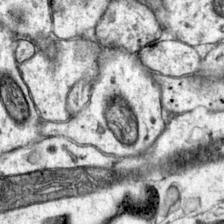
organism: Mouse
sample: Primary visual cortex